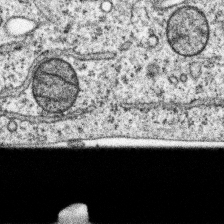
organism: Human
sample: HeLa cells